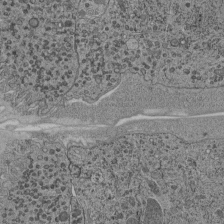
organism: C. elegans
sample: C. elegans pharynx